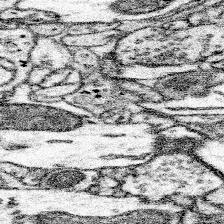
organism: Mouse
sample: Somatosensory cortex neuropil